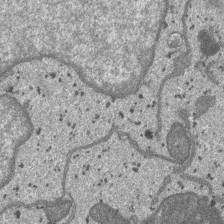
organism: Human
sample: Lung epithelial cells infected with SARS-CoV-2